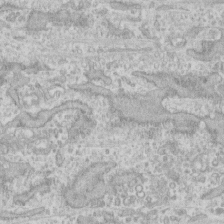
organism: Human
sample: CRL-1474